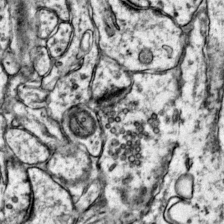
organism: Mouse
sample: Primary visual cortex